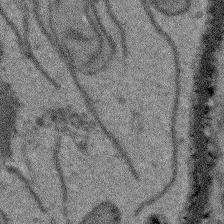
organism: Arabidopsis thaliana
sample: Root tip